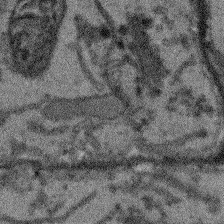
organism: Arabidopsis thaliana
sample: Root tip